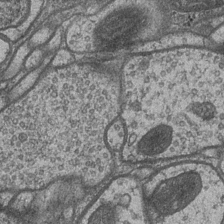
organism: Drosophila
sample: Optic medulla